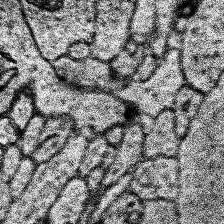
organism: Human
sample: Temporal Lobe